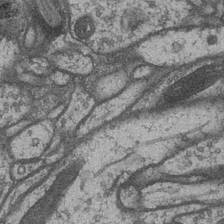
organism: Drosophila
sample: Optic medulla